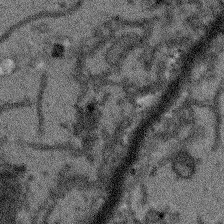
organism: Arabidopsis thaliana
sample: Root tip